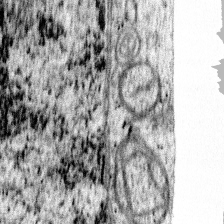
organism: Human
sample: HeLa cells